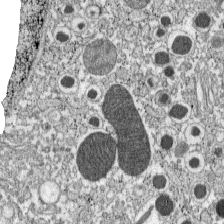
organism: C57BL Mouse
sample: Pancreatic islet